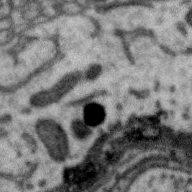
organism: Zebra finch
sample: Brain